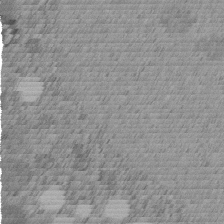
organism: C. elegans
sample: C. elegans embryo early stage